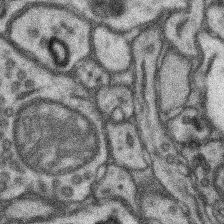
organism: Mouse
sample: Somatosensory cortex neuropil